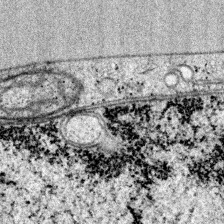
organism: Human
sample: HeLa cells